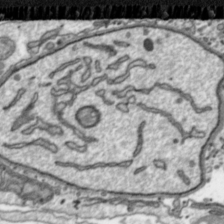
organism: Toxoplasma gondii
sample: Parasites in a vacuole inside a host cell